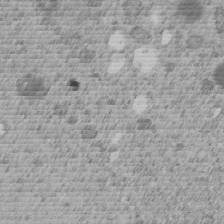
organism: C. elegans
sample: C. elegans embryo early stage